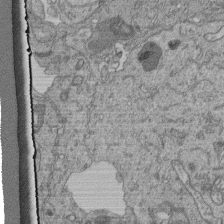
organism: Human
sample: Retinal organoid Rod and Cone cells